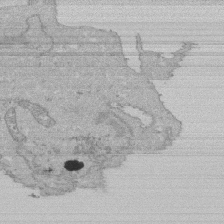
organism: Human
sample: Activated Jurkat CD4+ T cells